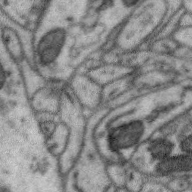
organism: Zebra finch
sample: Brain